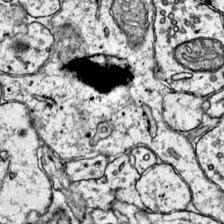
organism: Mouse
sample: Primary visual cortex